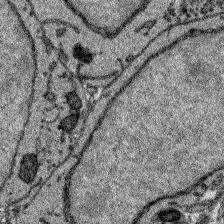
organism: Zebrafish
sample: Larval olfactory bulb